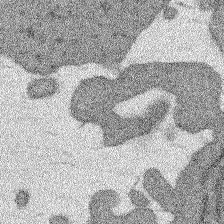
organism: Human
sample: HeLa cells